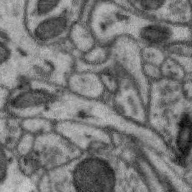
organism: Zebra finch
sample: Brain